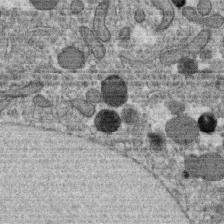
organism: C. elegans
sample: C. elegans oocyte; sperm cells